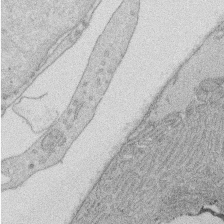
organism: Rat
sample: Salivary granule